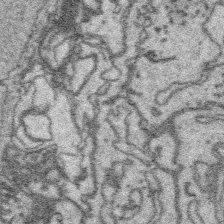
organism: Platynereis dumerilii